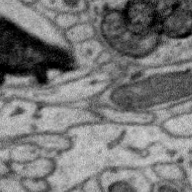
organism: Zebra finch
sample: Brain